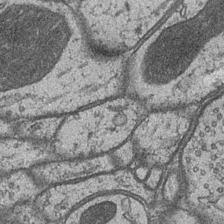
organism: Drosophila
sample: Optic medulla